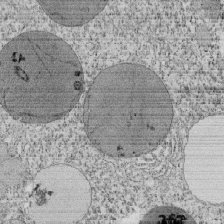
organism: Tetrahymena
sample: Cilia in tetrahymena